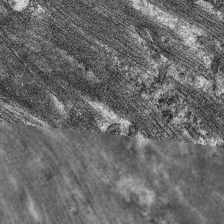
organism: C. elegans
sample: Pharynx